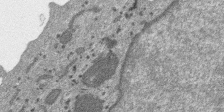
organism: Human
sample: Lung epithelial cells infected with SARS-CoV-2